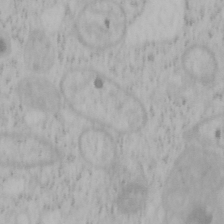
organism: Mouse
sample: OT-I killer T cells with ID8 ovarian cancer cells